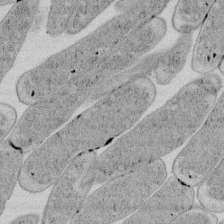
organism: E. coli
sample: Bacterial nucleoid